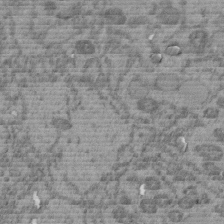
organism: C. elegans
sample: C. elegans embryo early stage